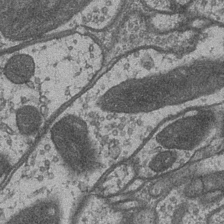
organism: Drosophila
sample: Optic medulla